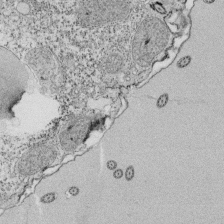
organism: Tetrahymena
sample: Cilia in tetrahymena